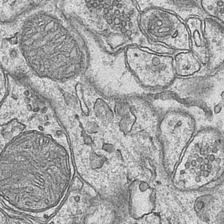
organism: Mouse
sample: CA1 Hippocampus